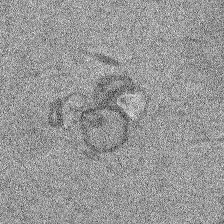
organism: Human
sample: HeLa cells